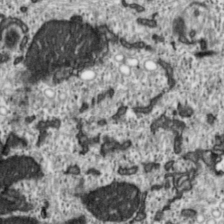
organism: Toxoplasma gondii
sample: Parasites in a vacuole inside a host cell